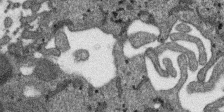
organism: Human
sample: Lung epithelial cells infected with SARS-CoV-2